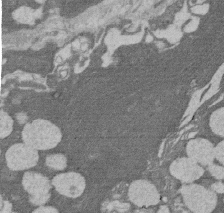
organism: Rat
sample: Salivary granule